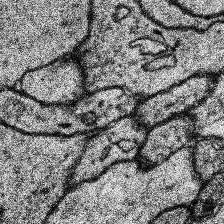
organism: Human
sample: Temporal Lobe